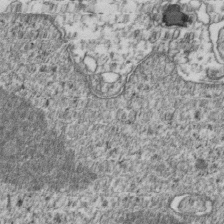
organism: Human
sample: Activated Jurkat CD4+ T cells